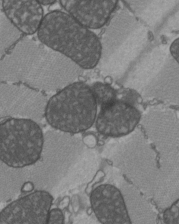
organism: C57BL Mouse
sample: Heart